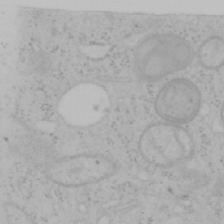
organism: Mouse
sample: OT-I killer T cells with ID8 ovarian cancer cells